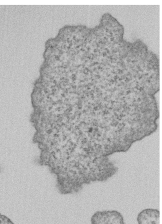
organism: Human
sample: MDA-MB-231 cells